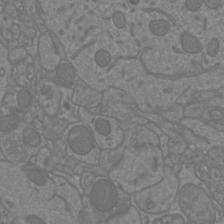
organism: Mouse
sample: Cortical neurons